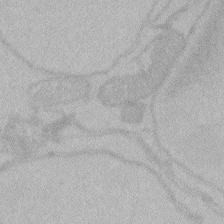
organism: Zebrafish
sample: Macrophage infected with Toxoplasma gondii